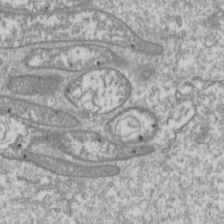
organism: Drosophila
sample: Cell division; meiosis; drosophila spermatocytes